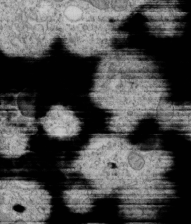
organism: C. elegans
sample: C. elegans embryo early stage